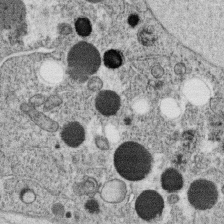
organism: C. elegans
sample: C. elegans oocyte; sperm cells